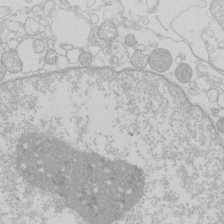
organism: Human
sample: Macrophage cells